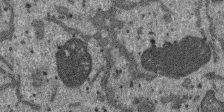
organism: Human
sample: Lung epithelial cells infected with SARS-CoV-2